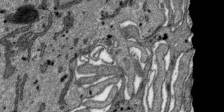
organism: Human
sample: Lung epithelial cells, uninfected (mock) control